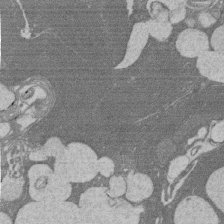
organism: Rat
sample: Salivary granule